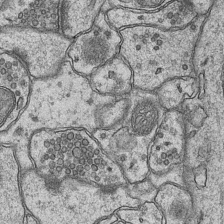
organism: Mouse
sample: CA1 Hippocampus